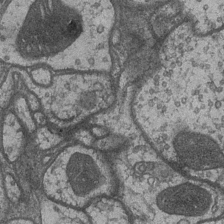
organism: Drosophila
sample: Optic medulla